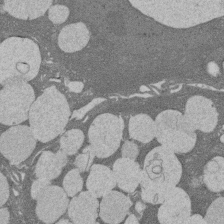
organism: Rat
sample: Salivary granule